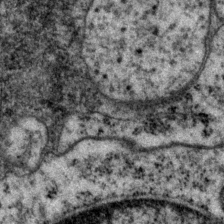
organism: P. pacificus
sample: Pharynx